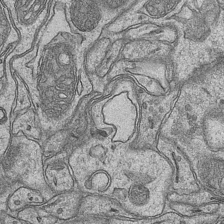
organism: Mouse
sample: CA1 Hippocampus